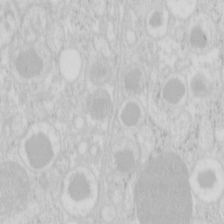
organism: Mouse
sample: Pancreas